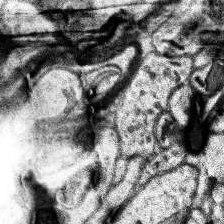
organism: Human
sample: Temporal Lobe